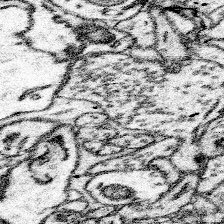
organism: Mouse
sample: Somatosensory cortex neuropil